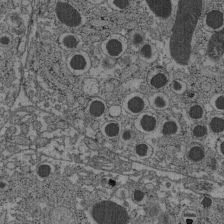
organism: C57BL Mouse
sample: Pancreatic islet